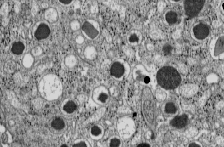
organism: C57BL Mouse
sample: Pancreatic islet